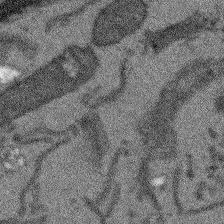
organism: Arabidopsis thaliana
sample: Root tip